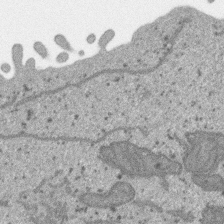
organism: Human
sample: Lung epithelial cells infected with SARS-CoV-2